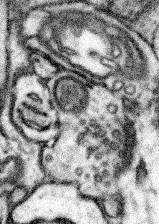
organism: Mouse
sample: Somatosensory cortex neuropil